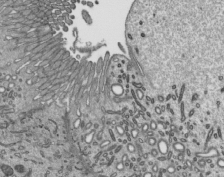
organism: Mouse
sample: Mouse epididymis efferent ductule cilia